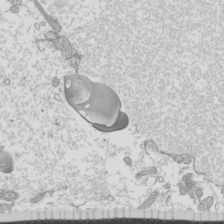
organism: Mouse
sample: Cilia; mouse epididymis